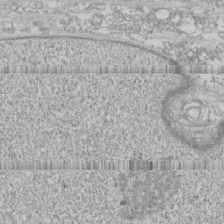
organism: Human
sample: CRL-1474